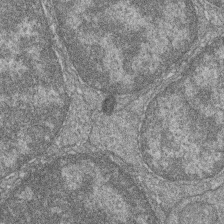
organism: Zebrafish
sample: Cilia; retinal pigment epithelium